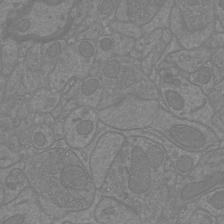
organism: Mouse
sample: Cortical neurons